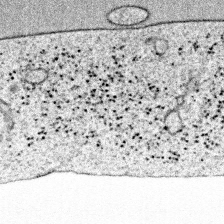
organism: Human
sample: HeLa cells